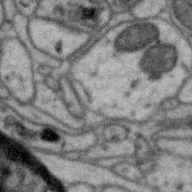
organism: Zebra finch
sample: Brain